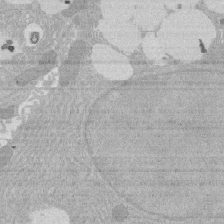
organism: Rat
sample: Salivary granule